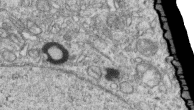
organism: Human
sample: HeLa cell HIV synapse